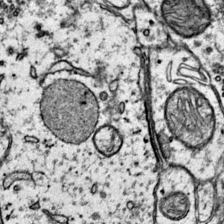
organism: Mouse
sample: Primary visual cortex